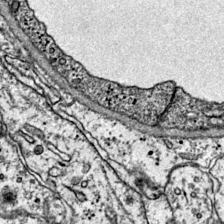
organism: Mouse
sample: Primary visual cortex